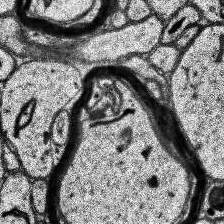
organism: Human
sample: Temporal Lobe